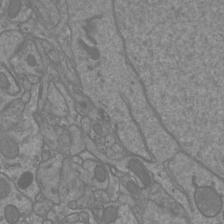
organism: Mouse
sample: Cortical neurons